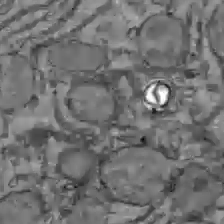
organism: C57BL Mouse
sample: Liver